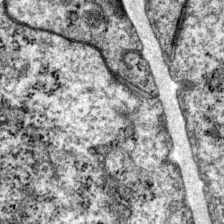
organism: P. pacificus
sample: Pharynx